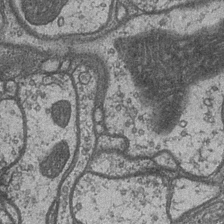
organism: Drosophila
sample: Optic medulla